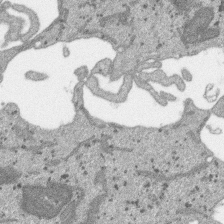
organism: Human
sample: Lung epithelial cells infected with SARS-CoV-2